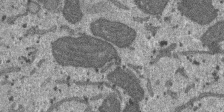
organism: Human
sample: Lung epithelial cells infected with SARS-CoV-2